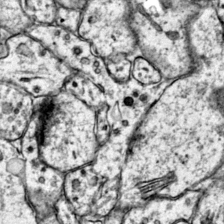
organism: Mouse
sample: Primary visual cortex